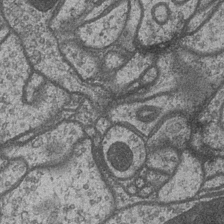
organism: Drosophila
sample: Optic medulla